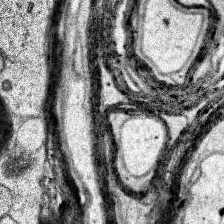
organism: Human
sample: Temporal Lobe